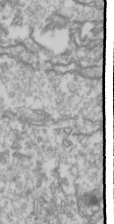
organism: Drosophila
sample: Cell division; meiosis; drosophila spermatocytes